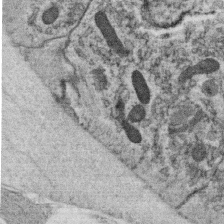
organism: C. elegans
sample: C. elegans oocyte; sperm cells